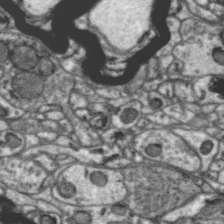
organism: Zebra finch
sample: Brain